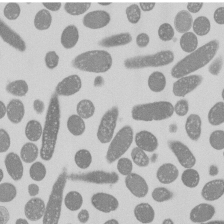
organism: E. coli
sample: Bacterial nucleoid